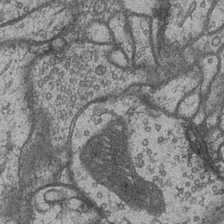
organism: Drosophila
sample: Optic medulla